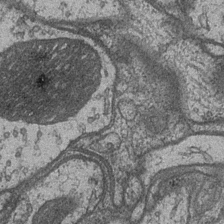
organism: Drosophila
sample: Optic medulla